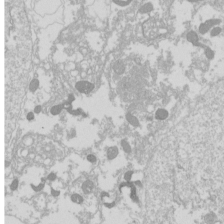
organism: Drosophila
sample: Cell division; meiosis; drosophila spermatocytes